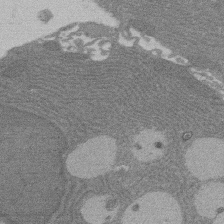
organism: Rat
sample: Salivary granule